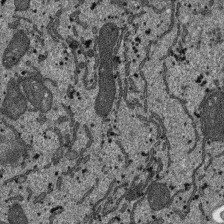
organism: Human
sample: Lung epithelial cells infected with SARS-CoV-2